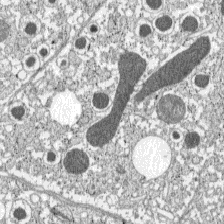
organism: C57BL Mouse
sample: Pancreatic islet